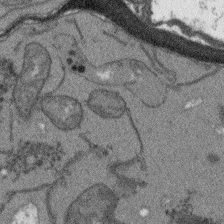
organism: Arabidopsis thaliana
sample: Root tip